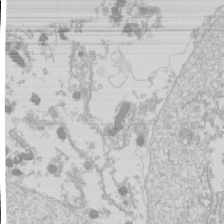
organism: Drosophila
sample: Cell division; meiosis; drosophila spermatocytes